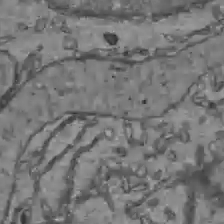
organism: C57BL Mouse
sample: Liver